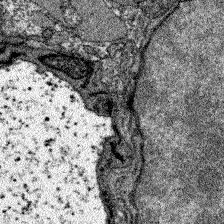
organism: Zebrafish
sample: Larval olfactory bulb